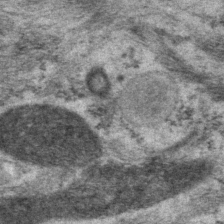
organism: P. pacificus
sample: Pharynx